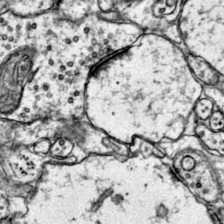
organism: Mouse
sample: Primary visual cortex